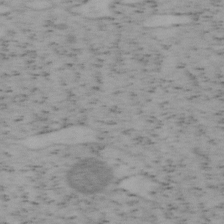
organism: Mouse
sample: OT-I killer T cells with ID8 ovarian cancer cells